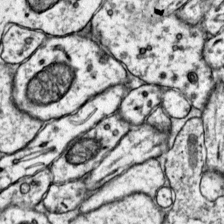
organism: Mouse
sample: Primary visual cortex